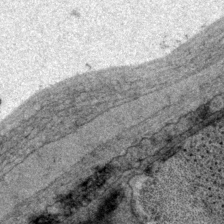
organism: P. pacificus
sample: Pharynx